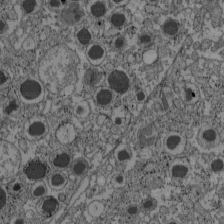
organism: C57BL Mouse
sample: Pancreatic islet